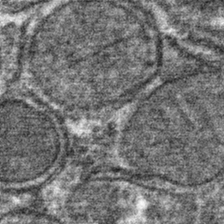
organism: Mouse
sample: Mouse hepatocytes